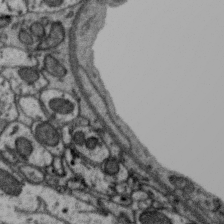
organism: Zebra finch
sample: Brain